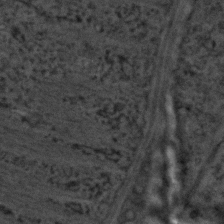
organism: C. elegans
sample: C. elegans embryo